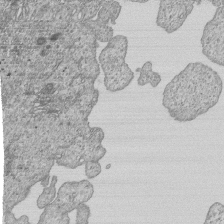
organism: Human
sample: MDA-MB-231 cells